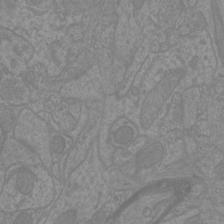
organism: Mouse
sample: Cortical neurons